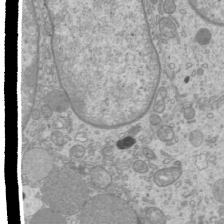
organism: Mouse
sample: Cilia; mouse epididymis